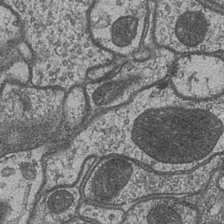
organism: Drosophila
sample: Optic medulla